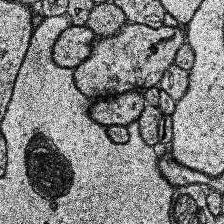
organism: Human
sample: Temporal Lobe